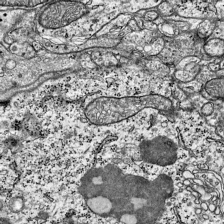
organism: Mouse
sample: Visual Cortex